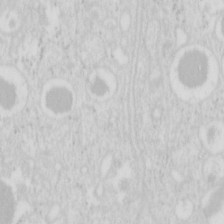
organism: Mouse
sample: Pancreas